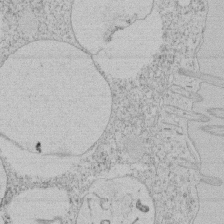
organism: Tetrahymena